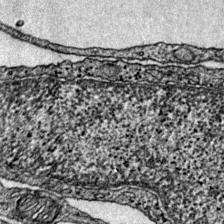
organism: Mouse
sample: Primary visual cortex